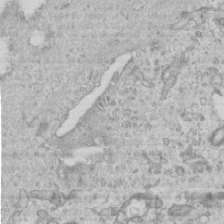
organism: Mouse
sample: Centriole in ependymal cells